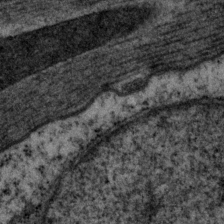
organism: P. pacificus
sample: Pharynx